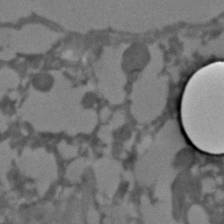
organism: C. elegans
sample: C. elegans embryo